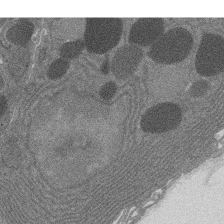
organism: Rat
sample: Salivary granule